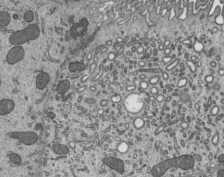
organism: Mouse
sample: Mouse epididymis efferent ductule cilia